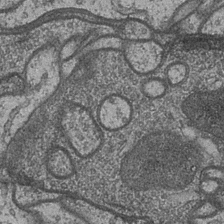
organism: Drosophila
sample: Optic medulla